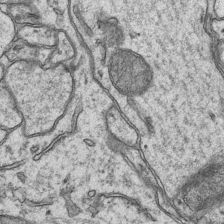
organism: Mouse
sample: CA1 Hippocampus